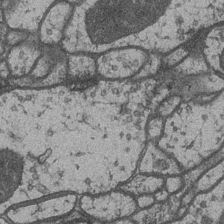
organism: Drosophila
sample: Optic medulla